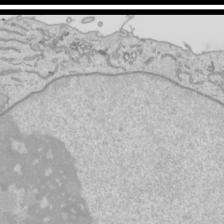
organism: Human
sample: Mitochondria in HCT116 cells